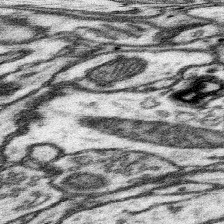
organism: Mouse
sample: Somatosensory cortex neuropil